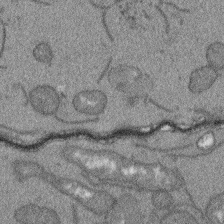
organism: Arabidopsis thaliana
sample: Root tip